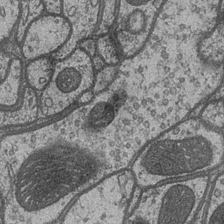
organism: Drosophila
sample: Optic medulla